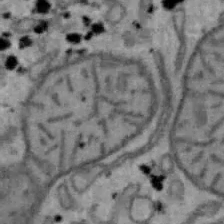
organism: Mouse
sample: Liver